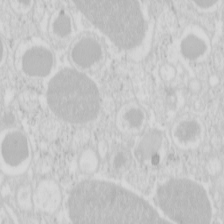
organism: Mouse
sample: Pancreas